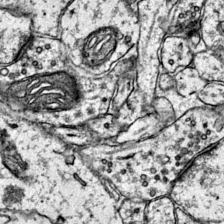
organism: Mouse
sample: Primary visual cortex